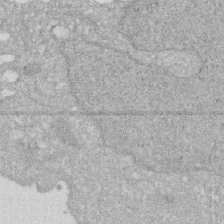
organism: Human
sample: HIV infected U937 cells